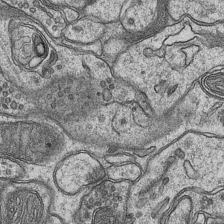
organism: Mouse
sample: CA1 Hippocampus